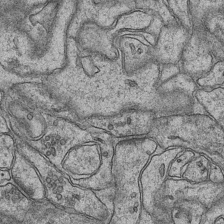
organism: Mouse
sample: CA1 Hippocampus